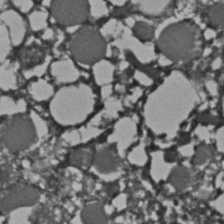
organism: C. elegans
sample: C. elegans embryo